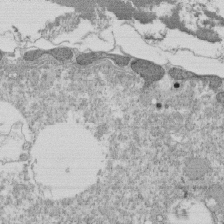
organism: Tetrahymena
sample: Cilia in tetrahymena